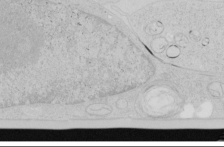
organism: Human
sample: Mitochondria in HCT116 cells